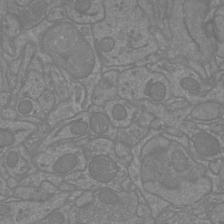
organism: Mouse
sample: Cortical neurons